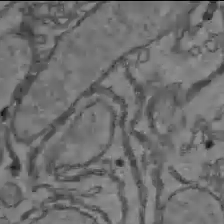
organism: C57BL Mouse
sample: Liver